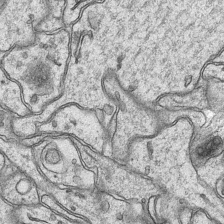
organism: Mouse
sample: CA1 Hippocampus